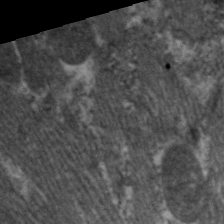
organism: C. elegans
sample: Pharynx